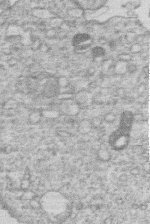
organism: Human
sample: Macrophage cells